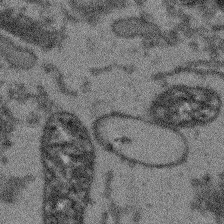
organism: Arabidopsis thaliana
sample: Root tip